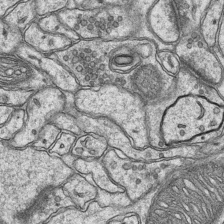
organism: Mouse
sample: CA1 Hippocampus